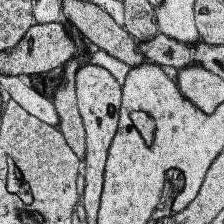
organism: Human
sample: Temporal Lobe